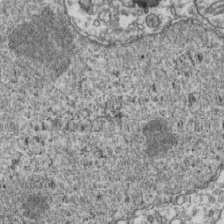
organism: Human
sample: Activated Jurkat CD4+ T cells